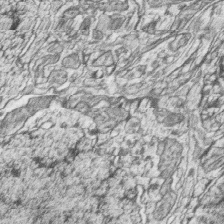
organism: Zebrafish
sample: synaptic ribbons in rod cells and cone cells